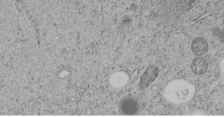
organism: C. elegans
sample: C. elegans embryo early stage